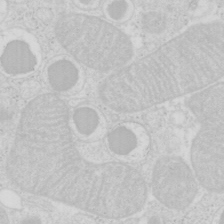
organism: Mouse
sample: Pancreas